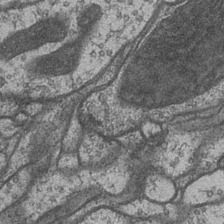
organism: Drosophila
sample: Optic medulla